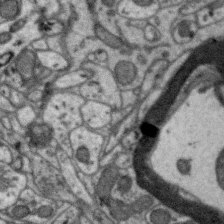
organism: Zebra finch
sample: Brain